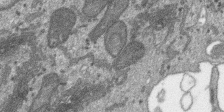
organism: Human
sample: Lung epithelial cells infected with SARS-CoV-2